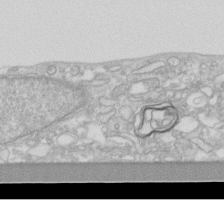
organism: Human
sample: Fibroblast cells